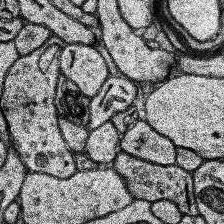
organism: Human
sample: Temporal Lobe